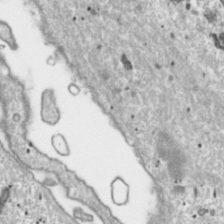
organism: Toxoplasma gondii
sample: Parasites in a vacuole inside a host cell